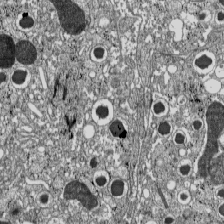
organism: C57BL Mouse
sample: Pancreatic islet